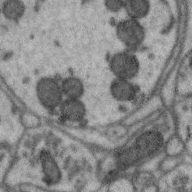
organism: Zebra finch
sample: Brain